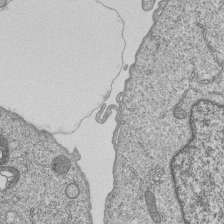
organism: Human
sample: MDA-MB-231 cells